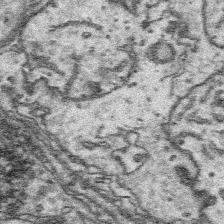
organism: Platynereis dumerilii